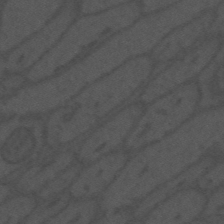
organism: Mouse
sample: Suprachiasmatic nucleus